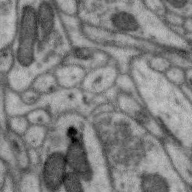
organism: Zebra finch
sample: Brain